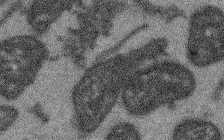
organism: Arabidopsis thaliana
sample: Root tip